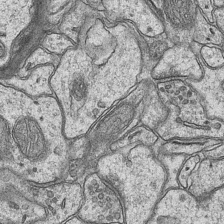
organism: Mouse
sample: CA1 Hippocampus